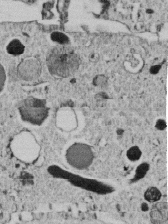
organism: C. elegans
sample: C. elegans embryo early stage